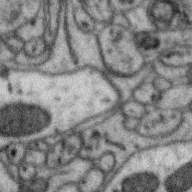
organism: Zebra finch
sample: Brain